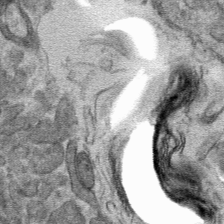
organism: Mouse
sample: Mouse hepatocytes